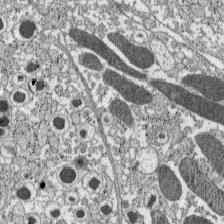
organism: C57BL Mouse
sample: Pancreatic islet